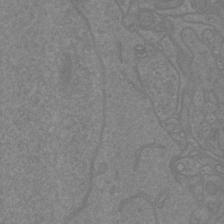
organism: Mouse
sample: Cortical neurons